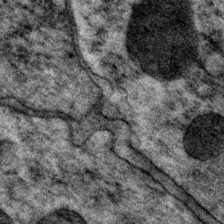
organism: P. pacificus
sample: Pharynx